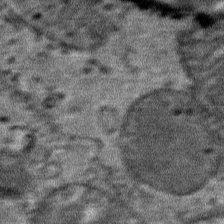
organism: Mouse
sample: Mouse Salivary gland